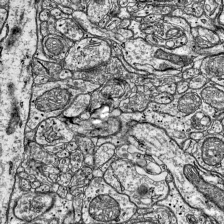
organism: Mouse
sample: Visual Cortex